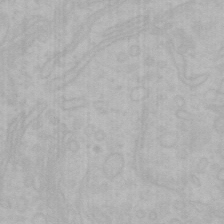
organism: Mouse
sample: Choroid plexus